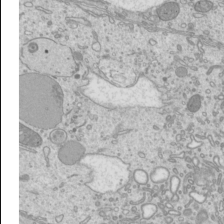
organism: Mouse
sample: Cilia; mouse epididymis